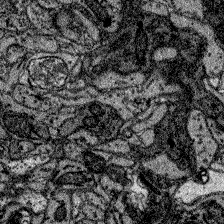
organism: Zebrafish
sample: Larval olfactory bulb